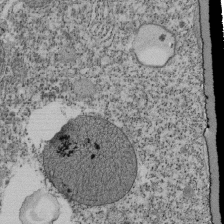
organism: Tetrahymena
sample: Cilia in tetrahymena